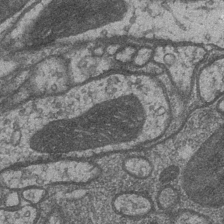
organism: Drosophila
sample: Optic medulla